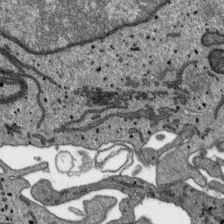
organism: Human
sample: Lung epithelial cells, uninfected (mock) control